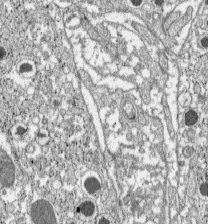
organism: C57BL Mouse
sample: Pancreatic islet